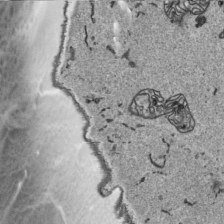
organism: Human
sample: Mitochondria in HCT116 cells